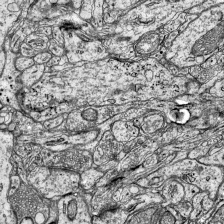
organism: Mouse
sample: Visual Cortex